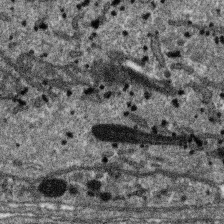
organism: Human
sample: Lung epithelial cells infected with SARS-CoV-2